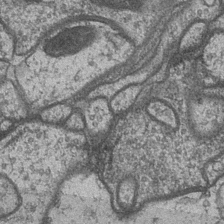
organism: Drosophila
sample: Optic medulla